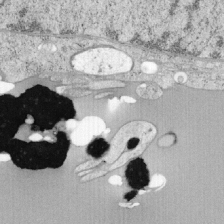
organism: Human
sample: HeLa cells